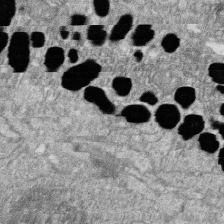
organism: Zebrafish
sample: Cilia; retinal pigment epithelium